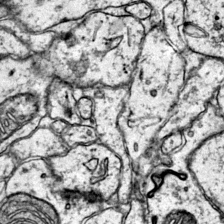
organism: Mouse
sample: Primary visual cortex